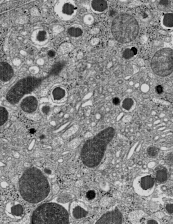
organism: C57BL Mouse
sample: Pancreatic islet